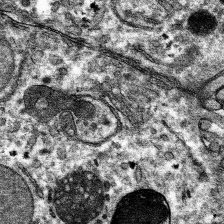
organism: Mouse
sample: Mouse hepatocytes